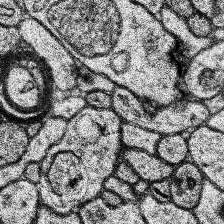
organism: Human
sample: Temporal Lobe